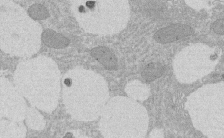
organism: Rat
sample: Salivary granule